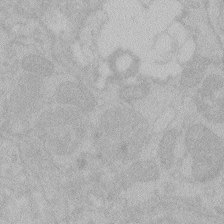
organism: Zebrafish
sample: Macrophage infected with Toxoplasma gondii